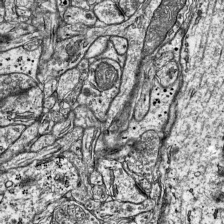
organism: Mouse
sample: Visual Cortex